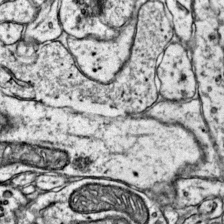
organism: Mouse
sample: Primary visual cortex